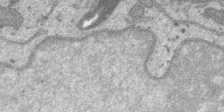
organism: Human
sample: Lung epithelial cells infected with SARS-CoV-2